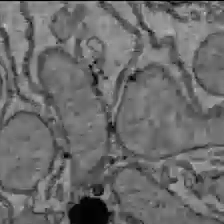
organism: C57BL Mouse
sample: Liver